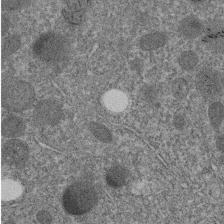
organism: C. elegans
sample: C. elegans embryo early stage